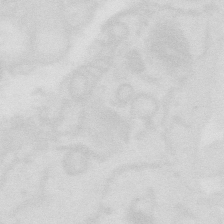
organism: Human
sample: HeLa cells